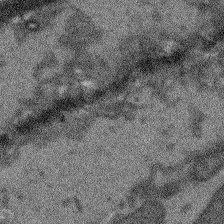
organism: Arabidopsis thaliana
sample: Root tip